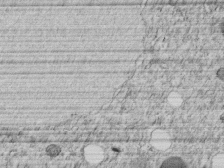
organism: C. elegans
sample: C. elegans embryo early stage